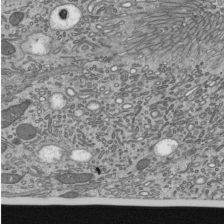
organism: Mouse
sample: Mouse epididymis efferent ductule cilia